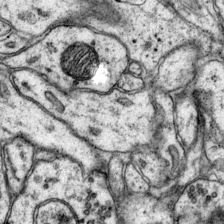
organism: Mouse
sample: Primary visual cortex